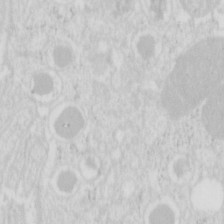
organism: Mouse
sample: Pancreas